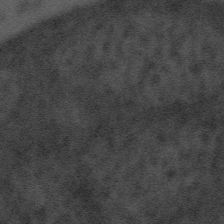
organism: Tuwongella immobilis